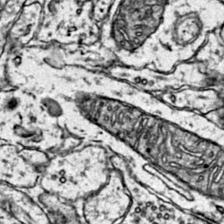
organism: Mouse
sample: Primary visual cortex